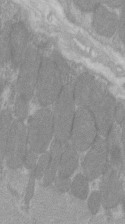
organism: C57BL Mouse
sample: Tibialis anterior muscle cell